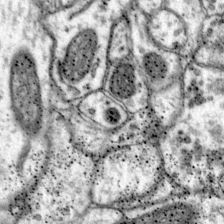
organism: Mouse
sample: Primary visual cortex